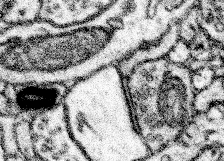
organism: Mouse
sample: Somatosensory cortex neuropil